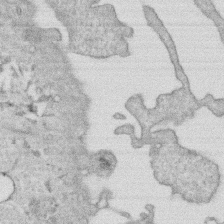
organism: Human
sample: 1205lu cells